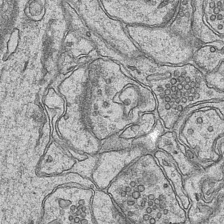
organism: Mouse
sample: CA1 Hippocampus